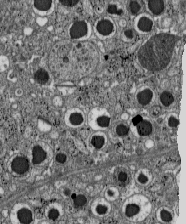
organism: C57BL Mouse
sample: Pancreatic islet